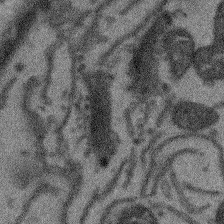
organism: Arabidopsis thaliana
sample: Root tip